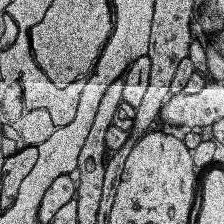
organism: Human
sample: Temporal Lobe